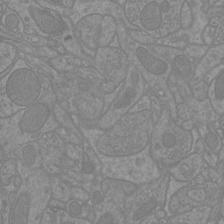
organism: Mouse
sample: Cortical neurons